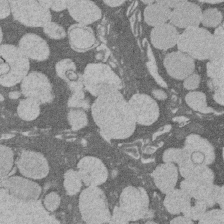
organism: Rat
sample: Salivary granule